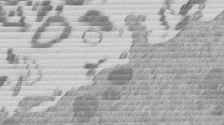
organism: Mouse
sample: Dividing mouse embryo 1 cell stage